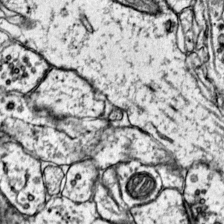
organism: Mouse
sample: Primary visual cortex